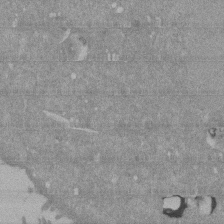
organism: Mouse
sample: ED-1 cell nuclei; centrioles